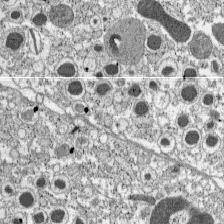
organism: C57BL Mouse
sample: Pancreatic islet